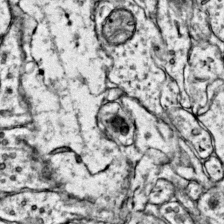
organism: Mouse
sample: Primary visual cortex